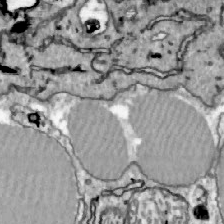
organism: Zebrafish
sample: Actinotrichia fibers